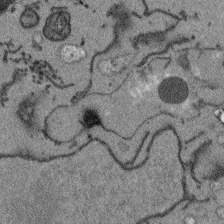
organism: Arabidopsis thaliana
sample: Root tip